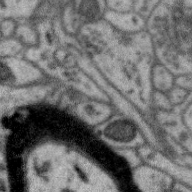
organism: Zebra finch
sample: Brain